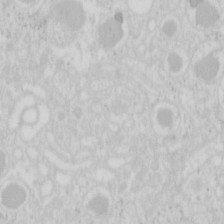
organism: Mouse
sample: Pancreas